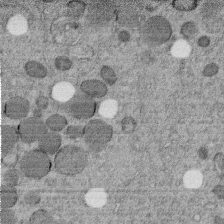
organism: C. elegans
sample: C. elegans embryo early stage